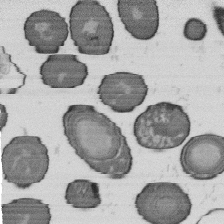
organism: B. subtilis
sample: Bacterial spore